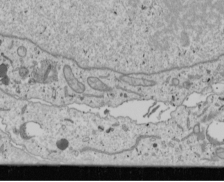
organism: Human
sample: Mitochondria in U2OS cells